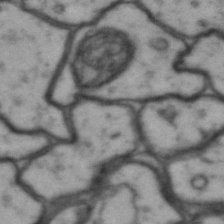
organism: Drosophila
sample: Brain